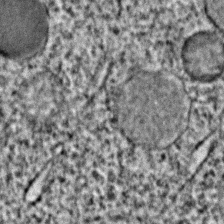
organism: C. elegans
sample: C. elegans embryo